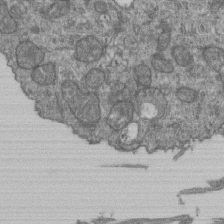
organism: Human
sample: Retinal organoid Rod and Cone cells